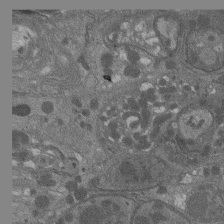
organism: Drosophila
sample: Antenna